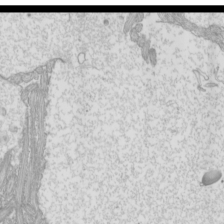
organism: Mouse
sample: Cilia; mouse epididymis